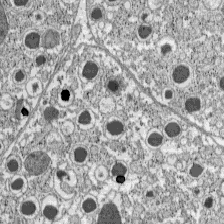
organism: C57BL Mouse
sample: Pancreatic islet